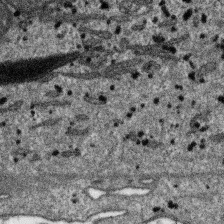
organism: Human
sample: Lung epithelial cells infected with SARS-CoV-2